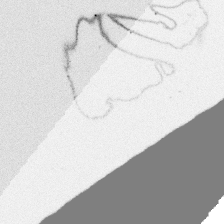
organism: Platynereis dumerilii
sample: Parapodia